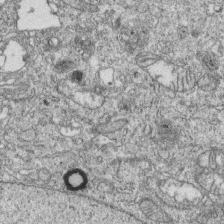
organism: Human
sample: HeLa cell HIV synapse